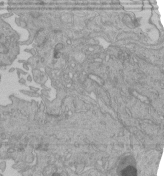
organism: Human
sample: Retinal organoid Rod and Cone cells